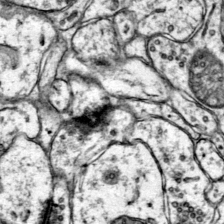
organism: Mouse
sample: Primary visual cortex